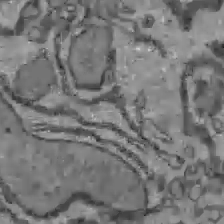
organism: C57BL Mouse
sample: Liver